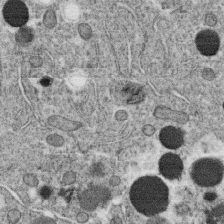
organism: C. elegans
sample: C. elegans oocyte; sperm cells